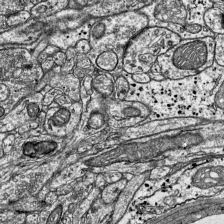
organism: Mouse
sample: Visual Cortex